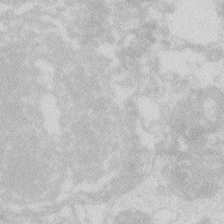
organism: Zebrafish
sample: Macrophage